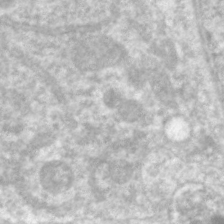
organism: C. elegans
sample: Pharynx